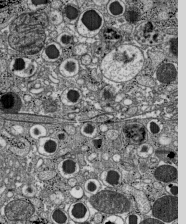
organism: C57BL Mouse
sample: Pancreatic islet